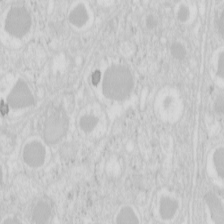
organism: Mouse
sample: Pancreas